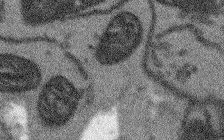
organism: Arabidopsis thaliana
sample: Root tip